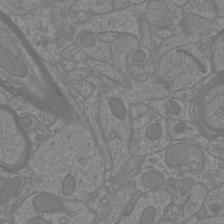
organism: Mouse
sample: Cortical neurons